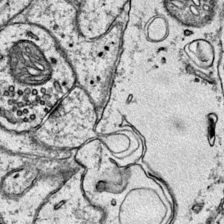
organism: Mouse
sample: Primary visual cortex